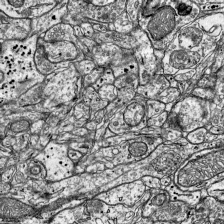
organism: Mouse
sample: Visual Cortex